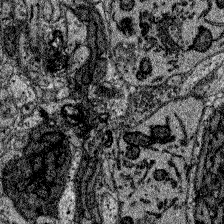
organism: Zebrafish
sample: Larval olfactory bulb